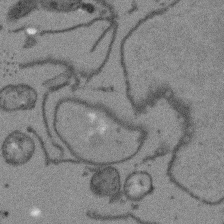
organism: Arabidopsis thaliana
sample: Root tip